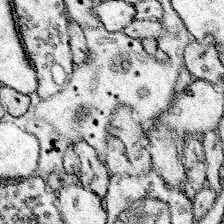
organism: Mouse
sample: Somatosensory cortex neuropil